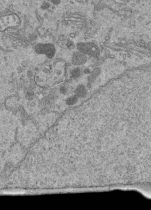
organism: Human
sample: Retinal organoid Rod and Cone cells